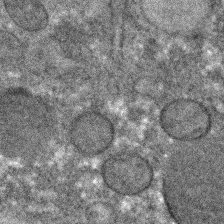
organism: C. elegans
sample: C. elegans embryo